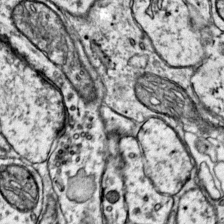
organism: Mouse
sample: Primary visual cortex